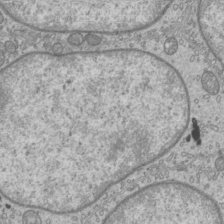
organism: Mouse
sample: Cilia; mouse epididymis